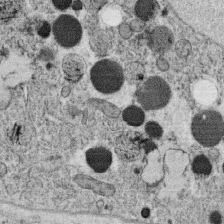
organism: C. elegans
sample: C. elegans oocyte; sperm cells